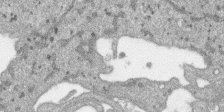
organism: Human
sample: Lung epithelial cells infected with SARS-CoV-2